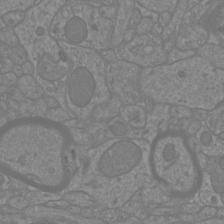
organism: Mouse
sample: Cortical neurons